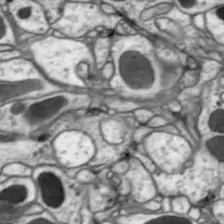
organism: Drosophila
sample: Optic lobe